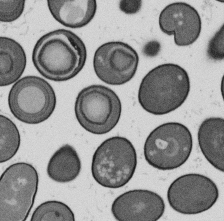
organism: B. subtilis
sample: Bacterial spore